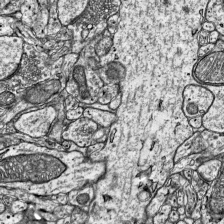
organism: Mouse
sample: Visual Cortex